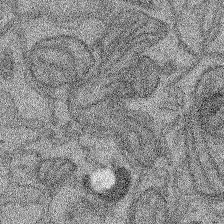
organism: Human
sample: HeLa cells